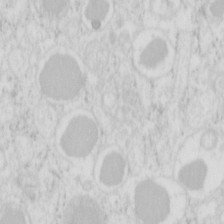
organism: Mouse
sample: Pancreas